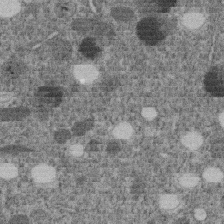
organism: C. elegans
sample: C. elegans embryo early stage